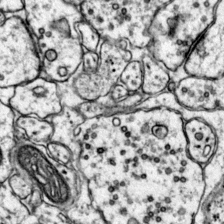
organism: Mouse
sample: Primary visual cortex